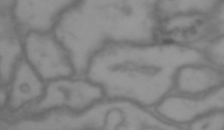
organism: Drosophila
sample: Brain